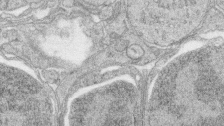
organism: Zebrafish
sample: synaptic ribbons in rod cells and cone cells